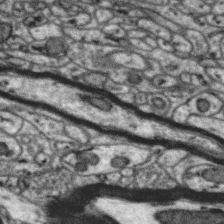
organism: Zebra finch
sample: Brain